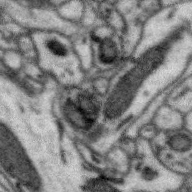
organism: Zebra finch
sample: Brain